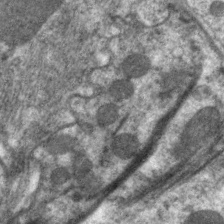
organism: C. elegans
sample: Pharynx